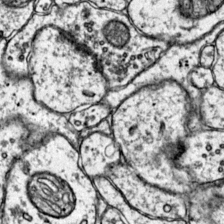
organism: Mouse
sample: Primary visual cortex